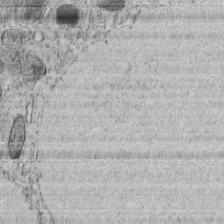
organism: C. elegans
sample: C. elegans embryo early stage